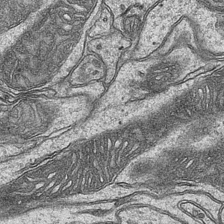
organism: Mouse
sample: CA1 Hippocampus